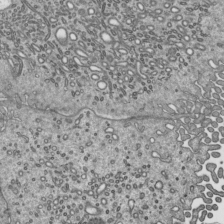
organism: Mouse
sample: Mouse epididymis efferent ductule cilia